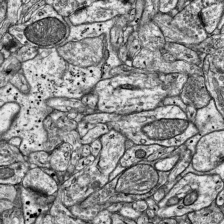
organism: Mouse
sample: Visual Cortex